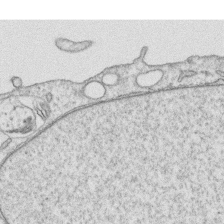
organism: Human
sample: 1205lu cells